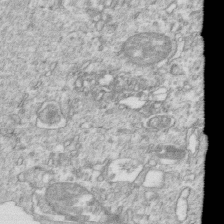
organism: Mouse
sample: Activated OT-1 CD8+ T cells